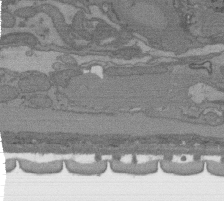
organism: C. elegans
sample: AFD neurons C. elegans